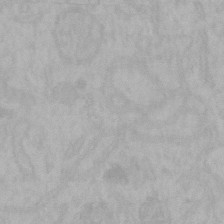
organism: Mouse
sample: Choroid plexus